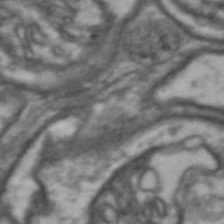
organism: Drosophila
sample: Brain